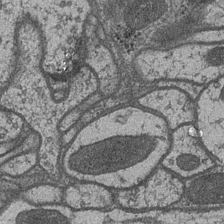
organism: Drosophila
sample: Optic medulla